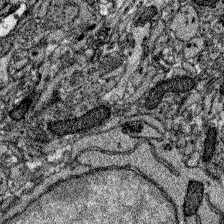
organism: Zebrafish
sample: Larval olfactory bulb